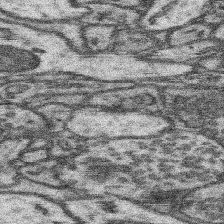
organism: Mouse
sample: Somatosensory cortex neuropil